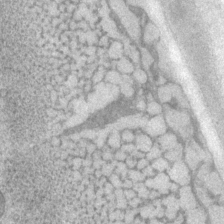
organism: P. pacificus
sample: Pharynx